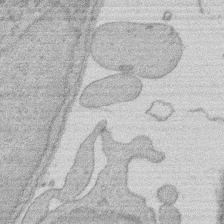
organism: Rat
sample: Salivary granule